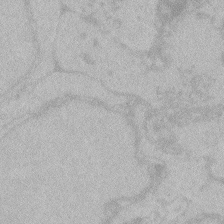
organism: Zebrafish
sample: Macrophage infected with Toxoplasma gondii